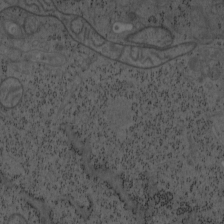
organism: Mouse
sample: OT-I killer T cells with ID8 ovarian cancer cells